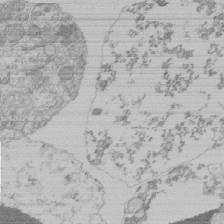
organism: Mouse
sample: Activated Pmel transgenic CD8+ T Cells